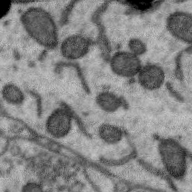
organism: Zebra finch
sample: Brain